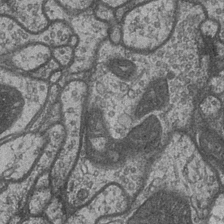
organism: Drosophila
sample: Optic medulla